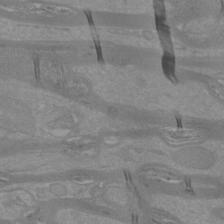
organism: Mouse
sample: Cortical neurons